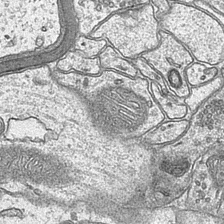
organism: Mouse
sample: CA1 Hippocampus